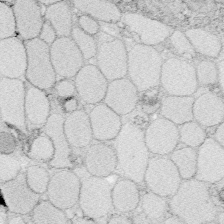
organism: Zebrafish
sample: Whole-Brain